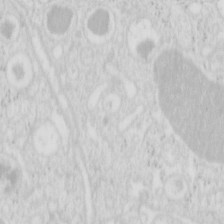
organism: Mouse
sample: Pancreas